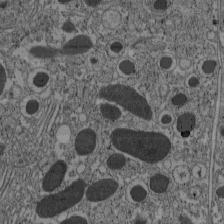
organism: C57BL Mouse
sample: Pancreatic islet